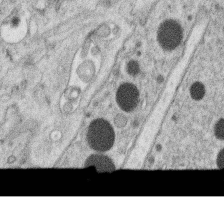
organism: C. elegans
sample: C. elegans oocyte; sperm cells